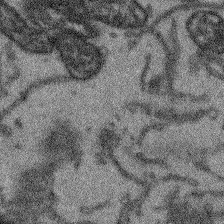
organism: Arabidopsis thaliana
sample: Root tip